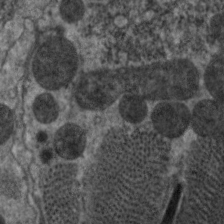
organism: C. elegans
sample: Pharynx